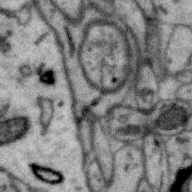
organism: Zebra finch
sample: Brain